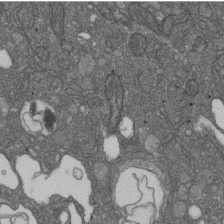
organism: Drosophila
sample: Nephrocyte